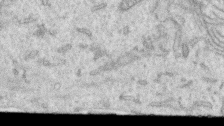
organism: Human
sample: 1205lu cells